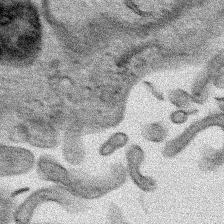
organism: Human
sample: Mitochondria in HCT116 cells